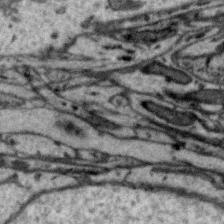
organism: Zebra finch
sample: Brain